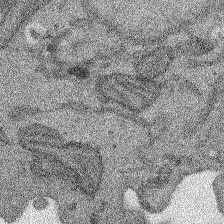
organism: Human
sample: HeLa cells